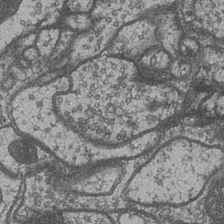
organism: Drosophila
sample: Optic medulla